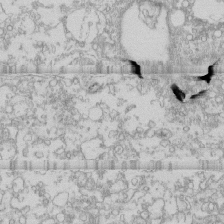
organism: Human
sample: CRL-1474